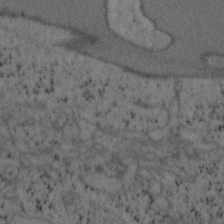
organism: Human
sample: HeLa cells